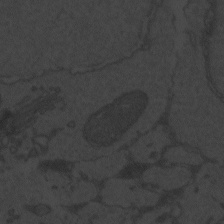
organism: Zebrafish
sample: Macrophage infected with Toxoplasma gondii